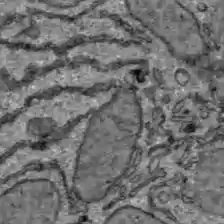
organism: C57BL Mouse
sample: Liver